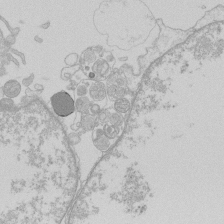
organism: Human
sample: Macrophage cells